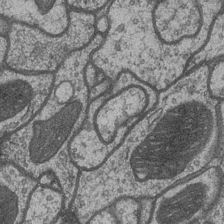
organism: Drosophila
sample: Optic medulla